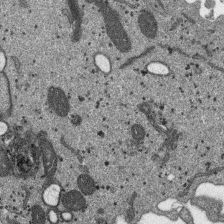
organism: Human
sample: Lung epithelial cells infected with SARS-CoV-2